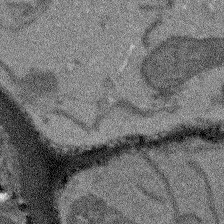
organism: Arabidopsis thaliana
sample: Root tip